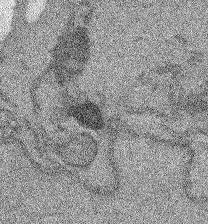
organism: Human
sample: HeLa cells